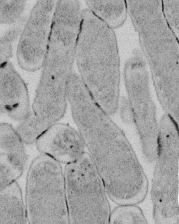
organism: E. coli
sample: Bacterial nucleoid